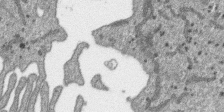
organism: Human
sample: Lung epithelial cells infected with SARS-CoV-2